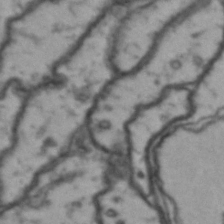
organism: Drosophila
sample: Brain